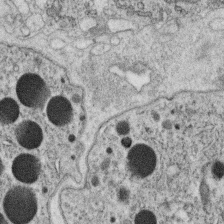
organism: C. elegans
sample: C. elegans oocyte; sperm cells